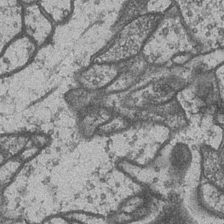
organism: Drosophila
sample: Optic medulla